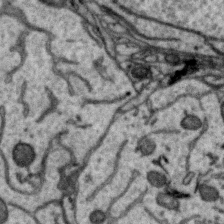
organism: Zebra finch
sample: Brain